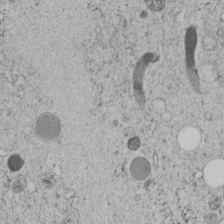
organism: C. elegans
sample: C. elegans embryo early stage